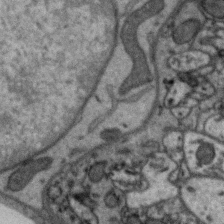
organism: Zebra finch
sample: Brain